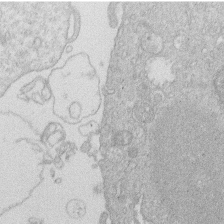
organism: Human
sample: Macrophage cells